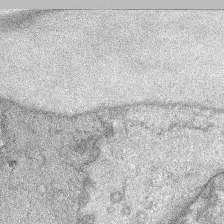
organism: Mouse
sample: Corneal nerves